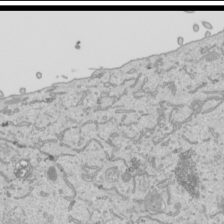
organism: Human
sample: Mitochondria in HCT116 cells